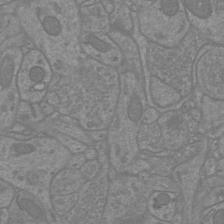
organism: Mouse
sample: Cortical neurons